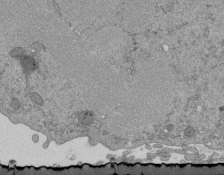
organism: Mouse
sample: ED-1 cell nuclei; centrioles